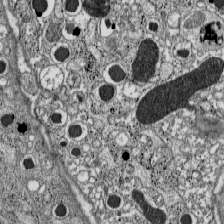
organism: C57BL Mouse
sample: Pancreatic islet